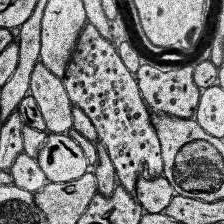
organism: Human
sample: Temporal Lobe